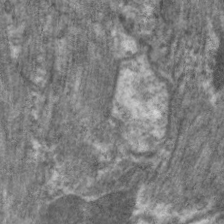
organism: C. elegans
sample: Pharynx